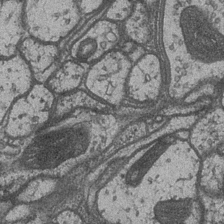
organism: Drosophila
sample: Optic medulla